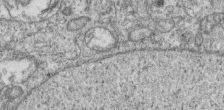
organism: Human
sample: HeLa cell HIV synapse